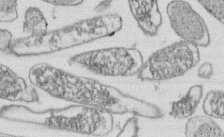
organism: E. coli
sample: Bacterial nucleoid